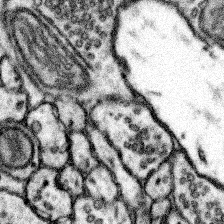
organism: Mouse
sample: Somatosensory cortex neuropil